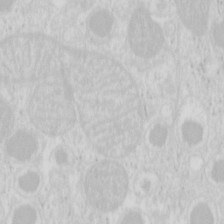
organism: Mouse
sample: Pancreas